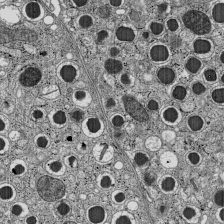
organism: C57BL Mouse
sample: Pancreatic islet